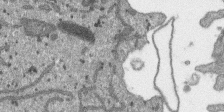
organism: Human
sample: Lung epithelial cells infected with SARS-CoV-2